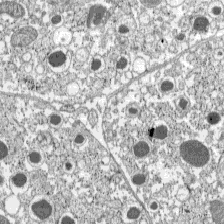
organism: C57BL Mouse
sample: Pancreatic islet